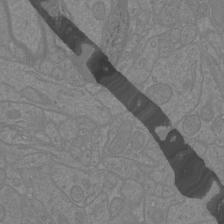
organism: Mouse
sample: Cortical neurons